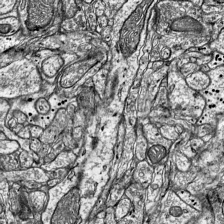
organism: Mouse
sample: Visual Cortex